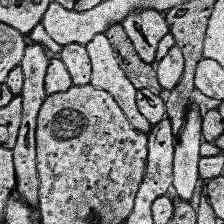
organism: Human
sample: Temporal Lobe